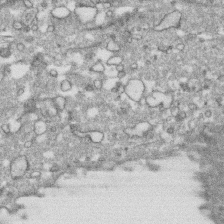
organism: Human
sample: CRL-1474